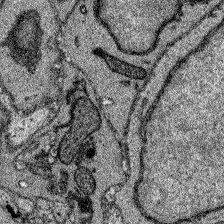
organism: Zebrafish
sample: Larval olfactory bulb